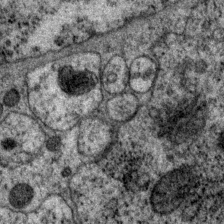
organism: P. pacificus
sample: Pharynx